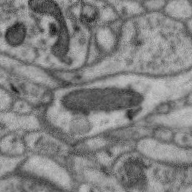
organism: Zebra finch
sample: Brain